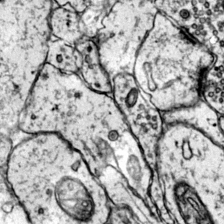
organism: Mouse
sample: Primary visual cortex